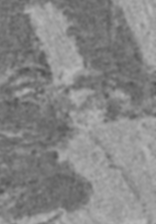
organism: C57BL Mouse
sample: Heart